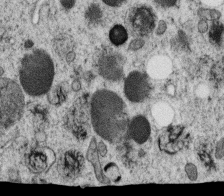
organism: C. elegans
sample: C. elegans oocyte; sperm cells